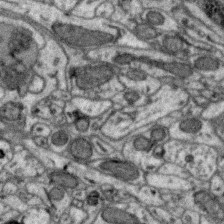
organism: Zebra finch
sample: Brain